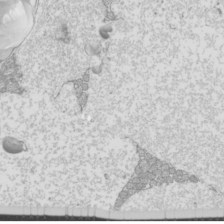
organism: Mouse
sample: Cilia; mouse epididymis